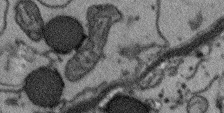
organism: Arabidopsis thaliana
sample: Root tip